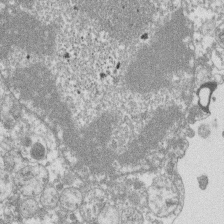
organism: Human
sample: HeLa cell HIV synapse